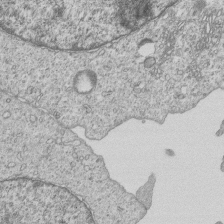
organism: Human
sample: MDA-MB-231 cells